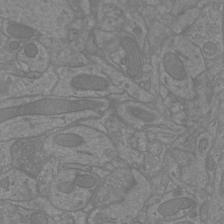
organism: Mouse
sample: Cortical neurons